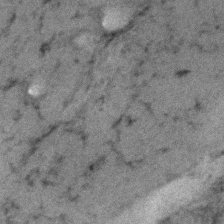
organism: Human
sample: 1205lu cells